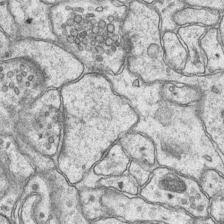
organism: Mouse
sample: CA1 Hippocampus